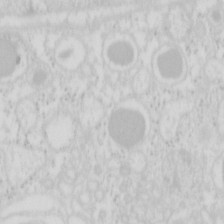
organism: Mouse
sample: Pancreas